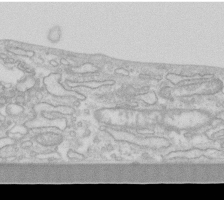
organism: Human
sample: Fibroblast cells